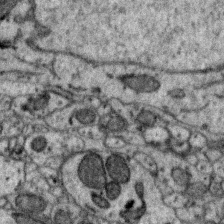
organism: Zebra finch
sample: Brain